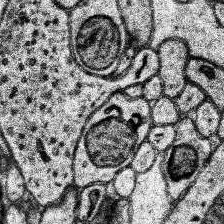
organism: Human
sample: Temporal Lobe